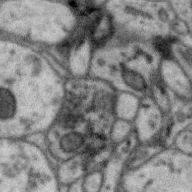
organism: Zebra finch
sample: Brain